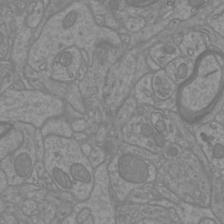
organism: Mouse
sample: Cortical neurons